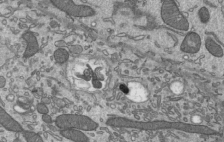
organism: Mouse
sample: Mouse epididymis efferent ductule cilia